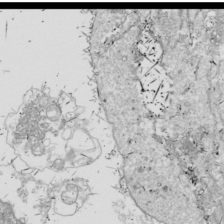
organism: Drosophila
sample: Cell division; meiosis; drosophila spermatocytes